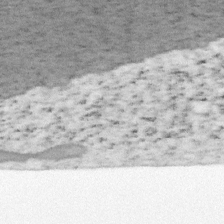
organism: Mouse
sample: OT-I killer T cells with ID8 ovarian cancer cells